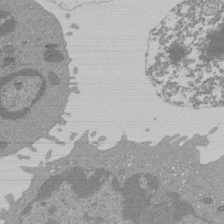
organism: Mouse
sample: Activated Pmel transgenic CD8+ T Cells